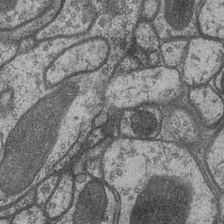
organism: Drosophila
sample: Optic medulla